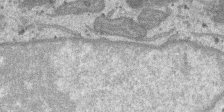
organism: Human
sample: Lung epithelial cells infected with SARS-CoV-2